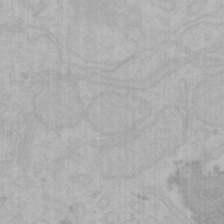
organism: Mouse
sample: Choroid plexus